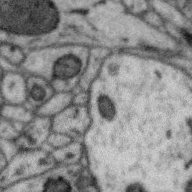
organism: Zebra finch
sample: Brain